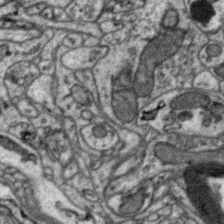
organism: Zebra finch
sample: Brain